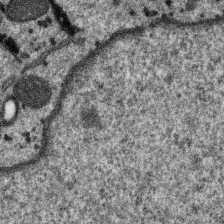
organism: Human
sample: Lung epithelial cells infected with SARS-CoV-2